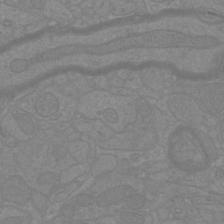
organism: Mouse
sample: Cortical neurons